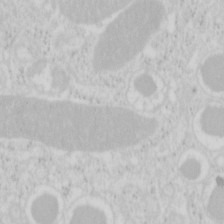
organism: Mouse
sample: Pancreas